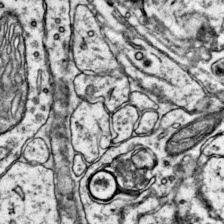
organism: Mouse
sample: Primary visual cortex